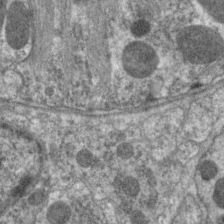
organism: C. elegans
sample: Pharynx